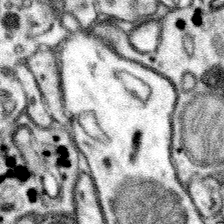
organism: Mouse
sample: Somatosensory cortex neuropil